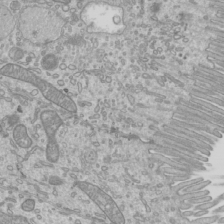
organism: Mouse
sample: Cilia; mouse epididymis